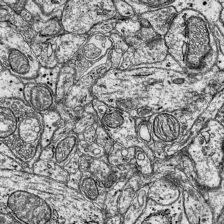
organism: Mouse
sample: Visual Cortex